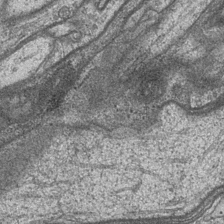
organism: Drosophila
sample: Optic medulla